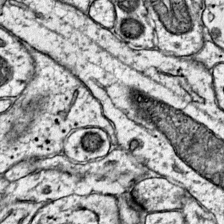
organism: Mouse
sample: Primary visual cortex